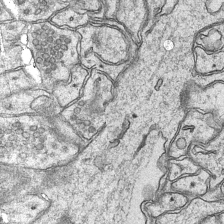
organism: Mouse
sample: CA1 Hippocampus